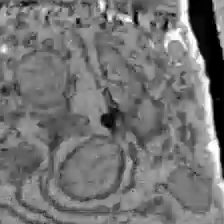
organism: C57BL Mouse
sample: Liver